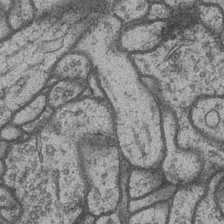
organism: Drosophila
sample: Optic medulla